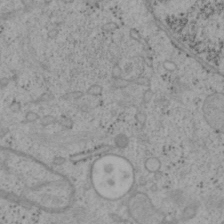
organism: Human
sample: HeLa cells